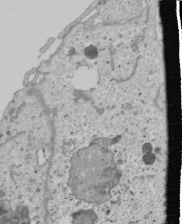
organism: Human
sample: Mitochondria in U2OS cells